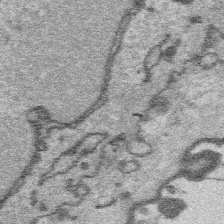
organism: Platynereis dumerilii